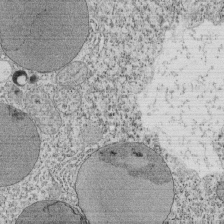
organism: Tetrahymena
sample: Cilia in tetrahymena